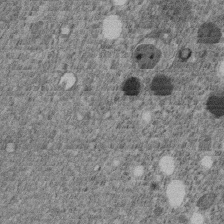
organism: C. elegans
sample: C. elegans embryo early stage